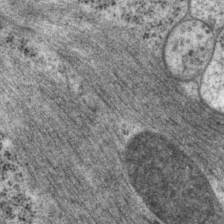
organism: P. pacificus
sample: Pharynx